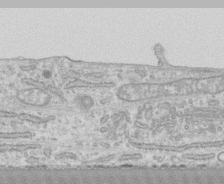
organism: Human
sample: CRL-1474